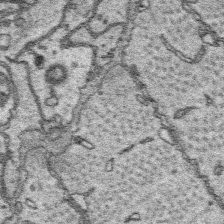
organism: Platynereis dumerilii